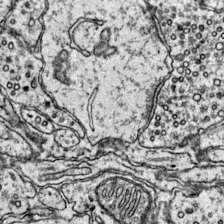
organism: Mouse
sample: Primary visual cortex